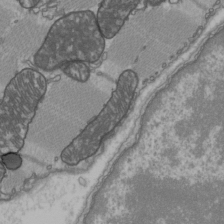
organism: C57BL Mouse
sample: Heart